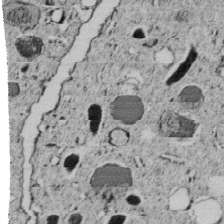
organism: C. elegans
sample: C. elegans embryo early stage